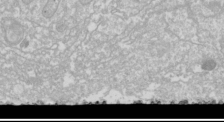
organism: Drosophila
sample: Cell division; meiosis; drosophila spermatocytes